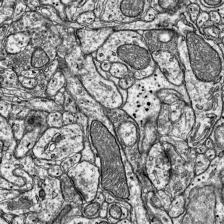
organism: Mouse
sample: Visual Cortex